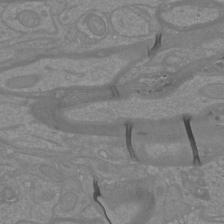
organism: Mouse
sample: Cortical neurons